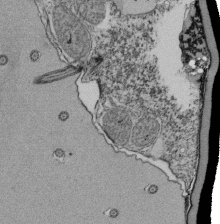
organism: Tetrahymena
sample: Cilia in tetrahymena